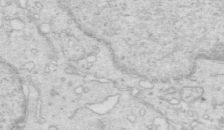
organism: Mouse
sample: Multiciliated cells